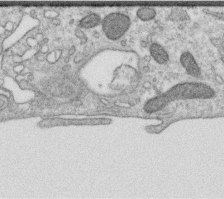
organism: Human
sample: Centriole in RPE cells